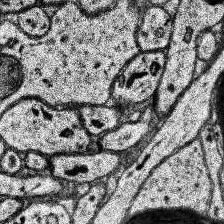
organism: Human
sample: Temporal Lobe